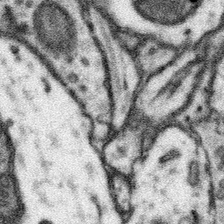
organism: Mouse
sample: Somatosensory cortex neuropil